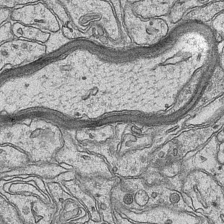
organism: Mouse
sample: CA1 Hippocampus